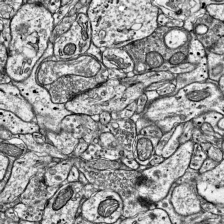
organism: Mouse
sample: Visual Cortex